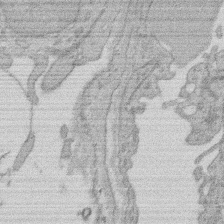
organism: Rat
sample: Salivary granule